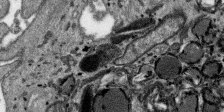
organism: Human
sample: Lung epithelial cells, uninfected (mock) control